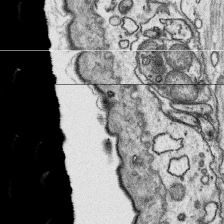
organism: Platynereis dumerilii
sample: Parapodia